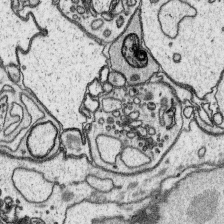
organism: Platynereis dumerilii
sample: Parapodia